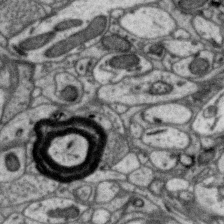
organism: Zebra finch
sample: Brain